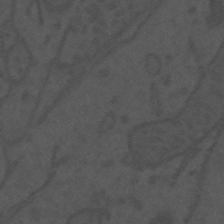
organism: Mouse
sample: Suprachiasmatic nucleus